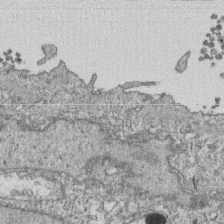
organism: Human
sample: HeLa cell HIV synapse